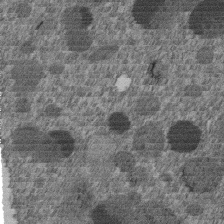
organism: C. elegans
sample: C. elegans embryo early stage